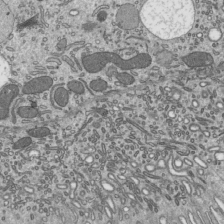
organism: Mouse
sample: Mouse epididymis efferent ductule cilia